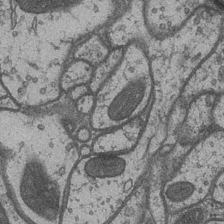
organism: Drosophila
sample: Optic medulla